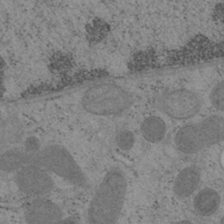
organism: Mouse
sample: OT-I killer T cells with ID8 ovarian cancer cells